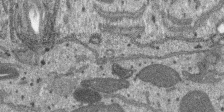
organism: Human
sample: Lung epithelial cells infected with SARS-CoV-2